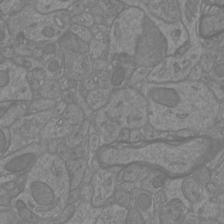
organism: Mouse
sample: Cortical neurons